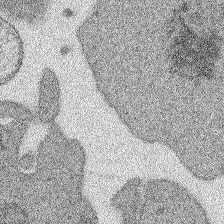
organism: Human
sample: HeLa cells